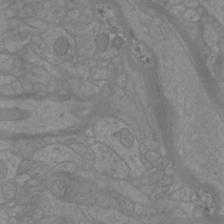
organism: Mouse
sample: Cortical neurons